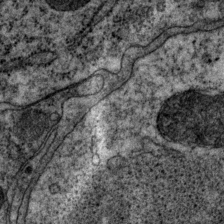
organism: P. pacificus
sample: Pharynx